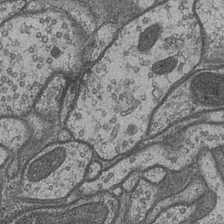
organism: Drosophila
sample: Optic medulla